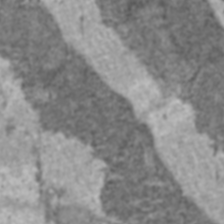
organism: C57BL Mouse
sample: Heart